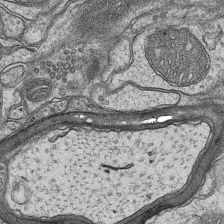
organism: Mouse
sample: CA1 Hippocampus